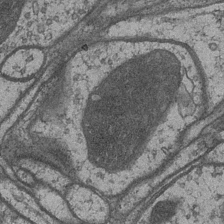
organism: Drosophila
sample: Optic medulla